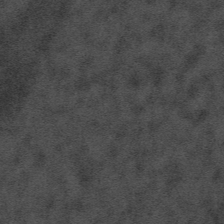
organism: Tuwongella immobilis